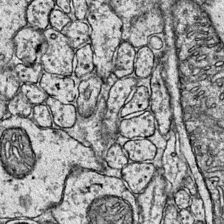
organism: Mouse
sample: Primary visual cortex